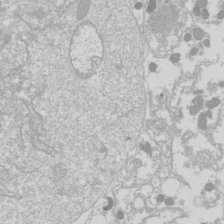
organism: Drosophila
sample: Cell division; meiosis; drosophila spermatocytes